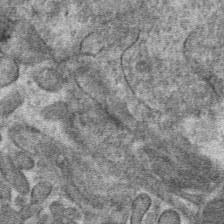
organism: Mouse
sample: Mouse hepatocytes